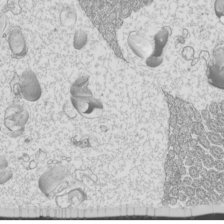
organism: Mouse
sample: Cilia; mouse epididymis